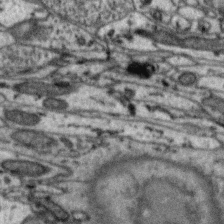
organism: Zebra finch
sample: Brain